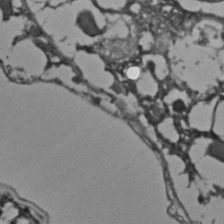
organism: C. elegans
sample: C. elegans embryo